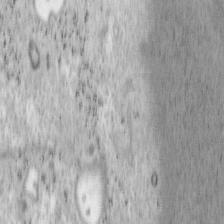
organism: Human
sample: HeLa cells